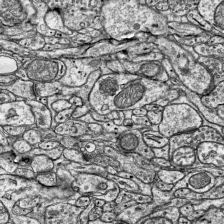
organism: Mouse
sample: Visual Cortex